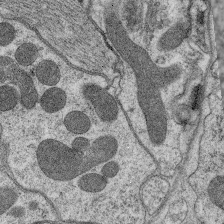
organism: C. elegans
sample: Pharynx